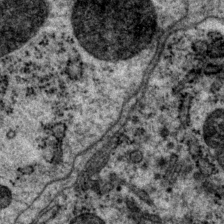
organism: P. pacificus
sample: Pharynx